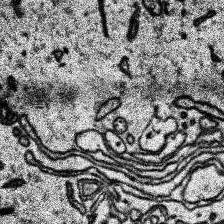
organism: Human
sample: Temporal Lobe